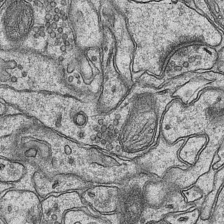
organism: Mouse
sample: CA1 Hippocampus